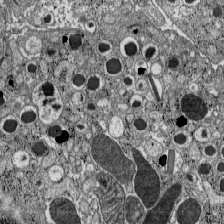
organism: C57BL Mouse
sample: Pancreatic islet